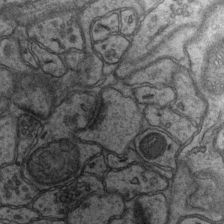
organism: Mouse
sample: CA1 Hippocampus